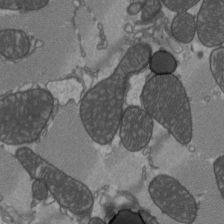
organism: C57BL Mouse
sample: Heart